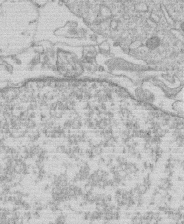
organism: Human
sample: Macrophage cells